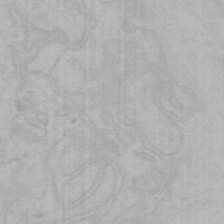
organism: Mouse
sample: Choroid plexus